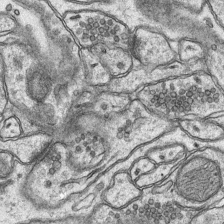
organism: Mouse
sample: CA1 Hippocampus